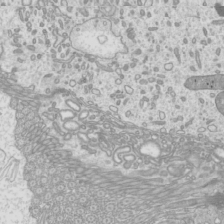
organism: Mouse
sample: Cilia; mouse epididymis